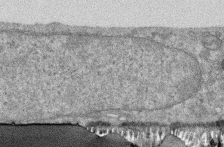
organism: Human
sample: Centriole in RPE cells